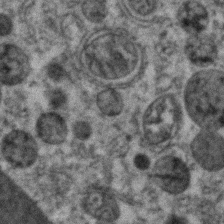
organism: Zebrafish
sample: Zebrafish embryo